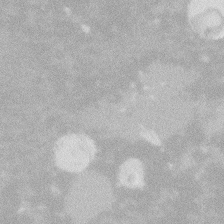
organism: Zebrafish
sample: Macrophage